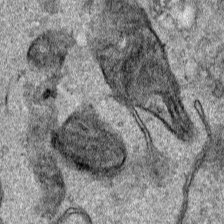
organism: Human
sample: Mitochondria in HCT116 cells